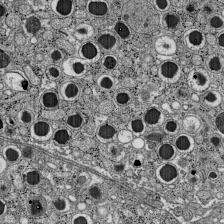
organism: C57BL Mouse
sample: Pancreatic islet